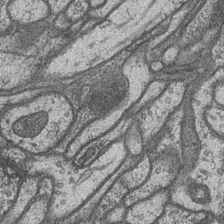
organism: Drosophila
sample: Optic medulla